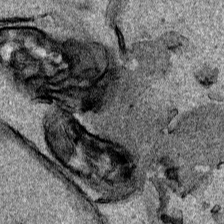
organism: Human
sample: Mitochondria in HCT116 cells